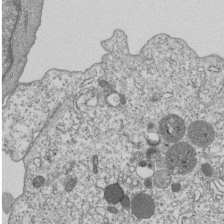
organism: Human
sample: MDA-MB-231 cells